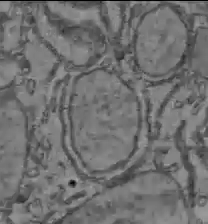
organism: C57BL Mouse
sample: Liver